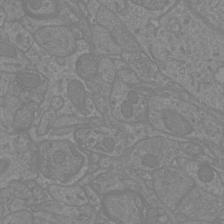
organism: Mouse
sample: Cortical neurons